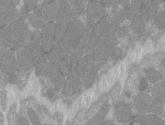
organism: C57BL Mouse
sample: Tibialis anterior muscle cell